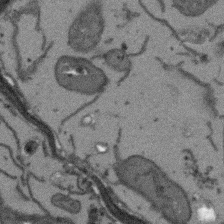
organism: Arabidopsis thaliana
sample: Root tip